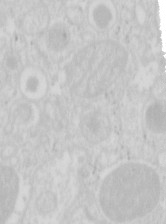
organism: Mouse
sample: Pancreas